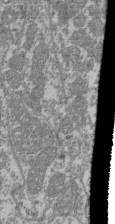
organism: Mouse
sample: Glomerulus